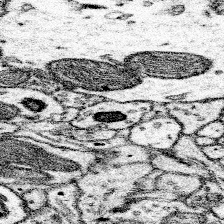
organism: Mouse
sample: Somatosensory cortex neuropil